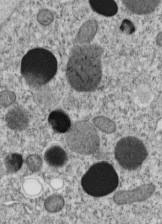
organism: C. elegans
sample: C. elegans embryo early stage